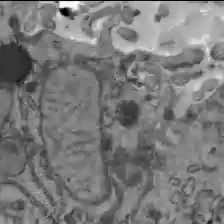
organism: C57BL Mouse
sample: Liver